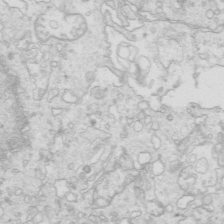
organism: Mouse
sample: Multiciliated cells